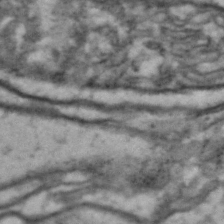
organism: Drosophila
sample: Brain